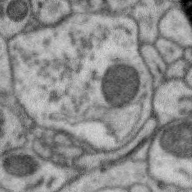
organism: Zebra finch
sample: Brain